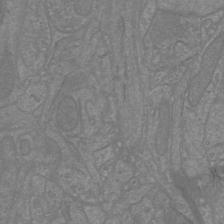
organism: Mouse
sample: Cortical neurons